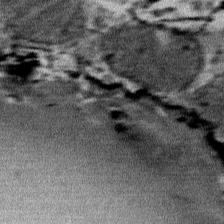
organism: Mouse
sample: Mouse Salivary gland